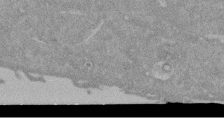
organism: Mouse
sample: ED-1 cell nuclei; centrioles